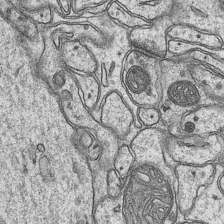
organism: Mouse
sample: CA1 Hippocampus